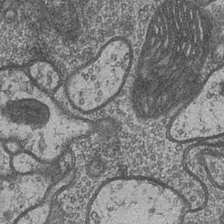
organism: Drosophila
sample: Optic medulla